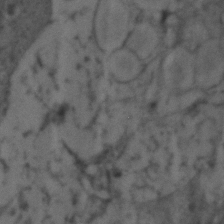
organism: Zebrafish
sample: Zebrafish embryo